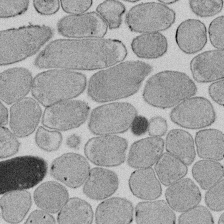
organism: E. coli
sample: Bacterial nucleoid